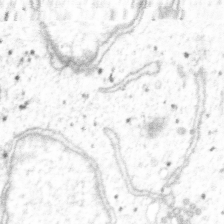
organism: Human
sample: HeLa cells